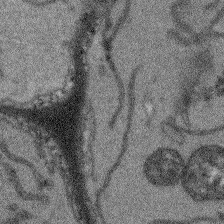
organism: Arabidopsis thaliana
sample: Root tip